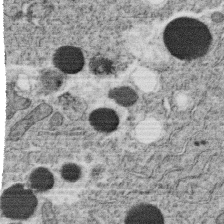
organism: C. elegans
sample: C. elegans oocyte; sperm cells